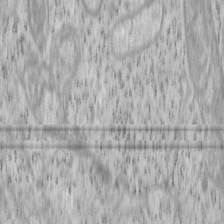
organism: Human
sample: HeLa cells